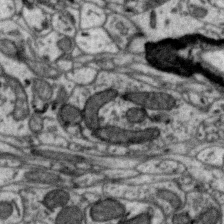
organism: Zebra finch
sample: Brain